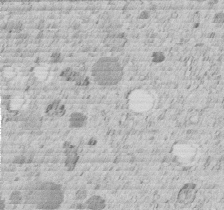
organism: C. elegans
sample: C. elegans embryo early stage